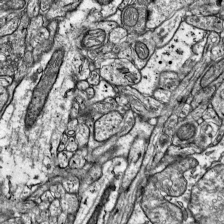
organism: Mouse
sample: Visual Cortex